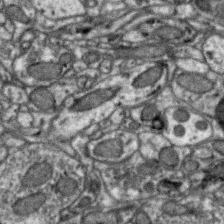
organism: Zebra finch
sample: Brain